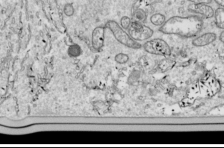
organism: Drosophila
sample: Cell division; meiosis; drosophila spermatocytes